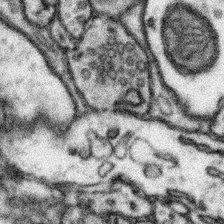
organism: Mouse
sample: Somatosensory cortex neuropil